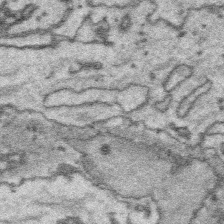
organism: Platynereis dumerilii